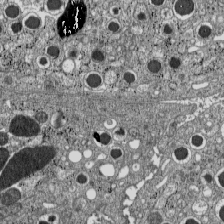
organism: C57BL Mouse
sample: Pancreatic islet